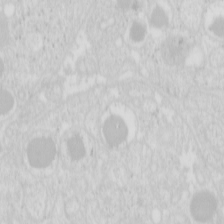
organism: Mouse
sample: Pancreas